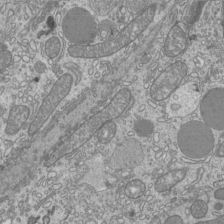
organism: Mouse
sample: Cilia; mouse epididymis